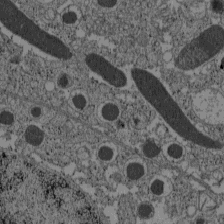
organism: C57BL Mouse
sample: Pancreatic islet